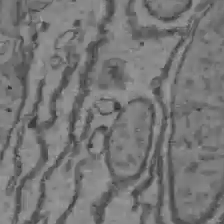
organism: C57BL Mouse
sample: Liver